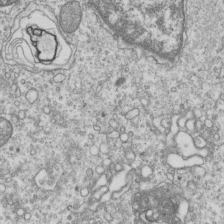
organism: Human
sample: MDA-MB-231 cells